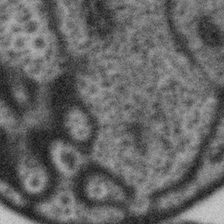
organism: Gemmata obscuriglobus